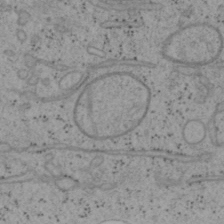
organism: Human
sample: HeLa cells